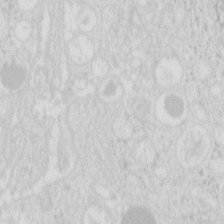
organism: Mouse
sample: Pancreas